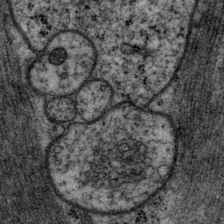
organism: P. pacificus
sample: Pharynx